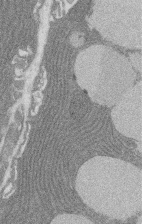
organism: Rat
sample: Salivary granule